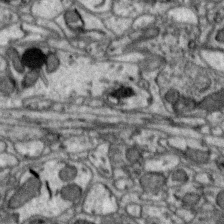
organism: Zebra finch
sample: Brain